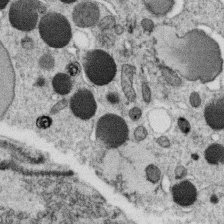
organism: C. elegans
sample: C. elegans oocyte; sperm cells